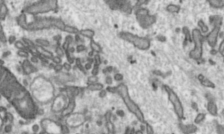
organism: Toxoplasma gondii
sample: Parasites in a vacuole inside a host cell